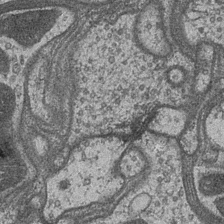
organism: Drosophila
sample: Optic medulla